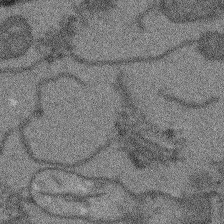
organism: Arabidopsis thaliana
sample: Root tip